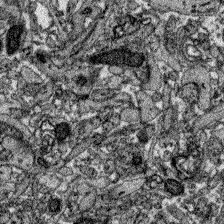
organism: Zebrafish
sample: Larval olfactory bulb